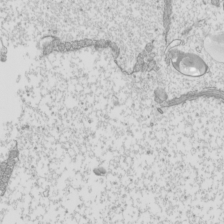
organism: Mouse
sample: Cilia; mouse epididymis